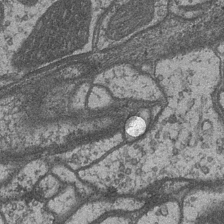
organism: Drosophila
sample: Optic medulla